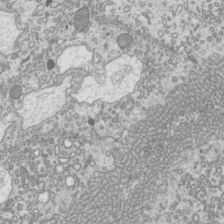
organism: Mouse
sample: Cilia; mouse epididymis